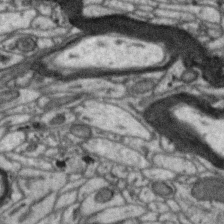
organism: Zebra finch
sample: Brain